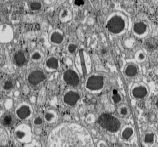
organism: C57BL Mouse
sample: Pancreatic islet